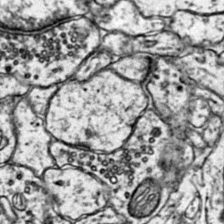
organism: Mouse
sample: Primary visual cortex